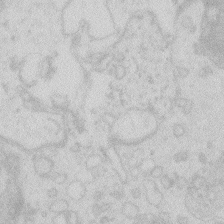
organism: Zebrafish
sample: Macrophage